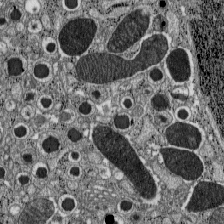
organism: C57BL Mouse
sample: Pancreatic islet